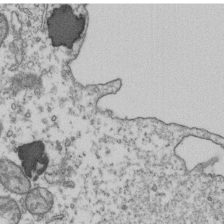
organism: Human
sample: Activated Jurkat CD4+ T cells